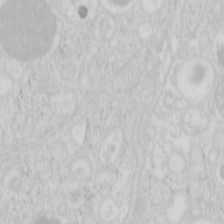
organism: Mouse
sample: Pancreas